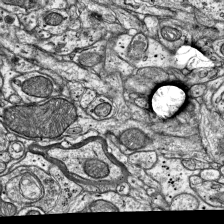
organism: Mouse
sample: Visual Cortex